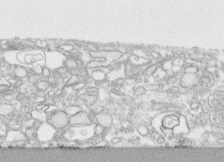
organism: Human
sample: CRL-1474